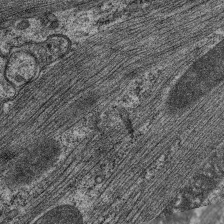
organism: C. elegans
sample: Pharynx